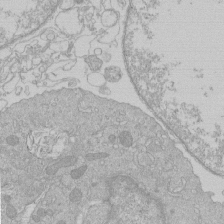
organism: Human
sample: Macrophage cells